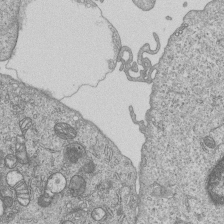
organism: Human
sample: MDA-MB-231 cells